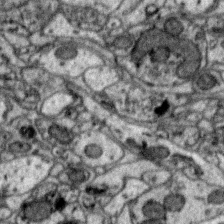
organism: Zebra finch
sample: Brain